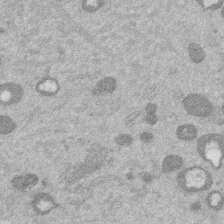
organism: Mouse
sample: Dividing mouse embryo 1 cell stage